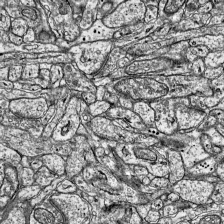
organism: Mouse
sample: Visual Cortex